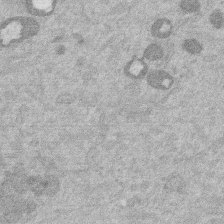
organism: Mouse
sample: Dividing mouse embryo 1 cell stage